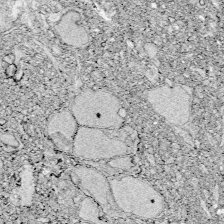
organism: Zebrafish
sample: Whole-Brain